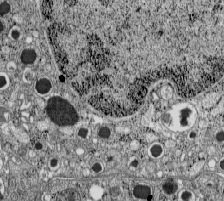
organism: C57BL Mouse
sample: Pancreatic islet